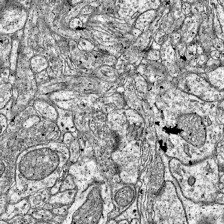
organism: Mouse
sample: Visual Cortex